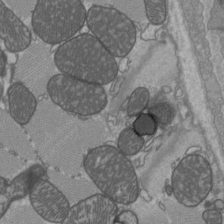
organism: C57BL Mouse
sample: Heart